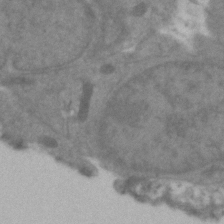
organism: Zebrafish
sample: Zebrafish embryo